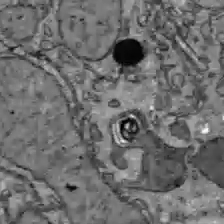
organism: C57BL Mouse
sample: Liver